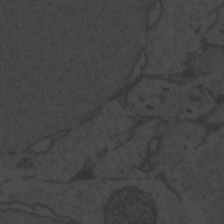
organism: Zebrafish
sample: Macrophage infected with Toxoplasma gondii